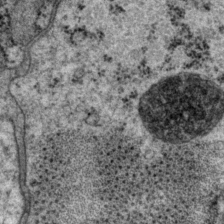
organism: P. pacificus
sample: Pharynx